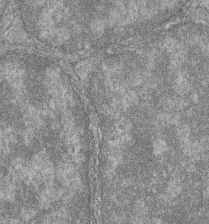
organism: Zebrafish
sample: Cilia; retinal pigment epithelium